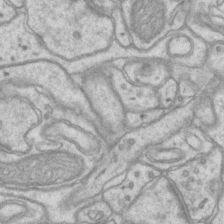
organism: Mouse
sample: CA1 Hippocampus